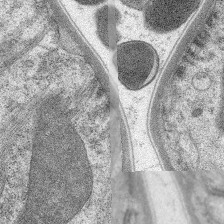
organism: C. elegans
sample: Pharynx